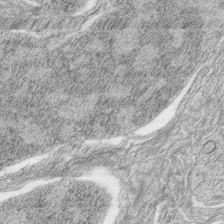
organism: Zebrafish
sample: synaptic ribbons in rod cells and cone cells